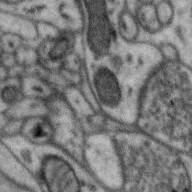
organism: Zebra finch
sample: Brain